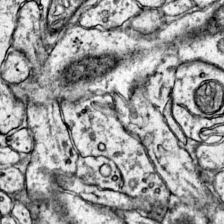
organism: Mouse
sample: Primary visual cortex